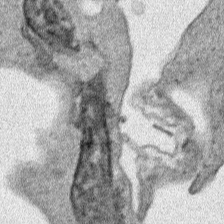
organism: Human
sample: Mitochondria in HCT116 cells